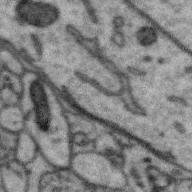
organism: Zebra finch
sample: Brain